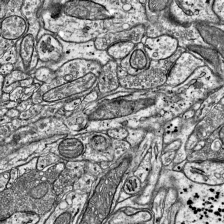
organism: Mouse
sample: Visual Cortex